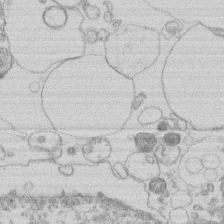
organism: Human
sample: Macrophage cells